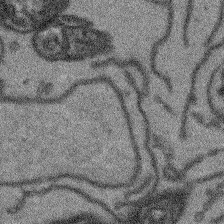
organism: Arabidopsis thaliana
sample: Root tip